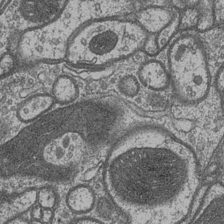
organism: Drosophila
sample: Optic medulla